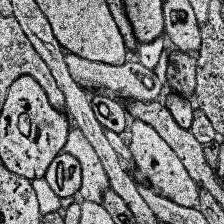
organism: Human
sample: Temporal Lobe